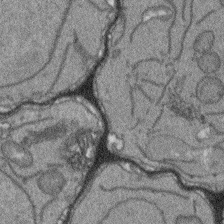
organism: Arabidopsis thaliana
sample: Root tip